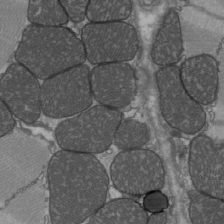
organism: C57BL Mouse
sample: Heart